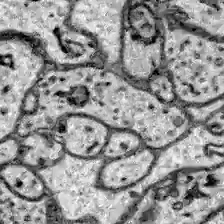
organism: Zebrafish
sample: Brain